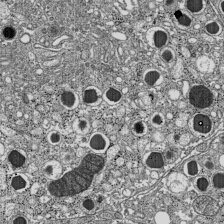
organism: C57BL Mouse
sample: Pancreatic islet